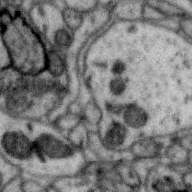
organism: Zebra finch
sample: Brain